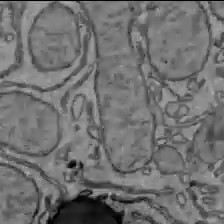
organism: C57BL Mouse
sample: Liver